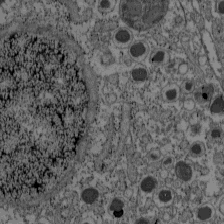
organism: C57BL Mouse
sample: Pancreatic islet